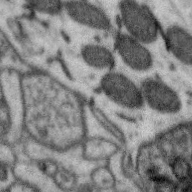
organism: Zebra finch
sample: Brain